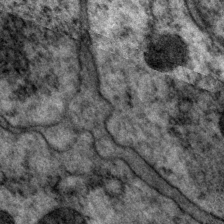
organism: P. pacificus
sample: Pharynx